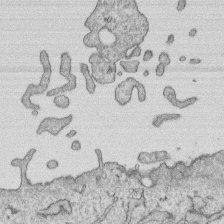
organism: Human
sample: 1205lu cells